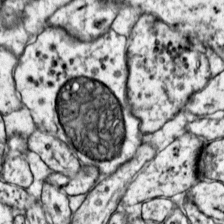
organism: Mouse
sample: Primary visual cortex